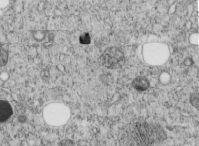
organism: C. elegans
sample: C. elegans embryo early stage